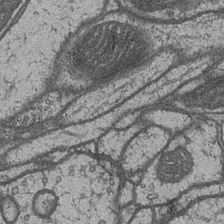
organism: Drosophila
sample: Optic medulla